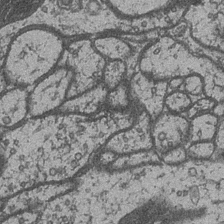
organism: Drosophila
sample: Optic medulla